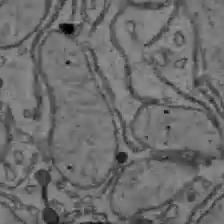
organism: C57BL Mouse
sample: Liver